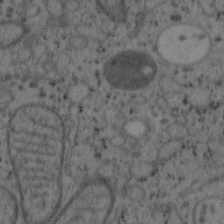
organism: Human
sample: HeLa cells